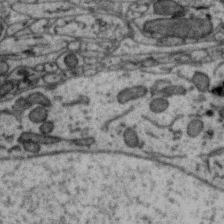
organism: Zebra finch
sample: Brain